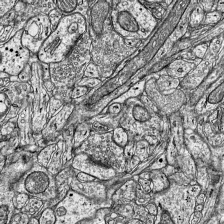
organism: Mouse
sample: Visual Cortex